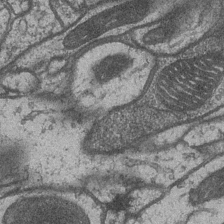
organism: Drosophila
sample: Optic medulla